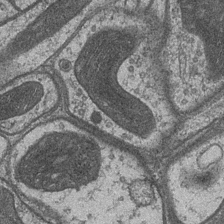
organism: Drosophila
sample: Optic medulla